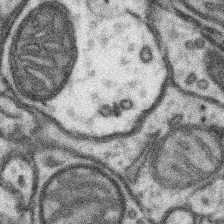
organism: Mouse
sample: Somatosensory cortex neuropil